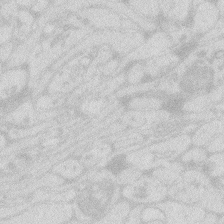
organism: Zebrafish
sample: Macrophage